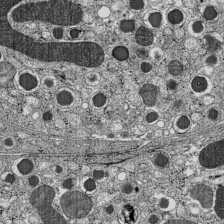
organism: C57BL Mouse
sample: Pancreatic islet